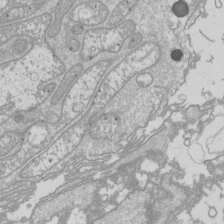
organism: Drosophila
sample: Cell division; meiosis; drosophila spermatocytes